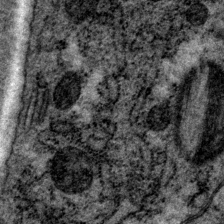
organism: P. pacificus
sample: Pharynx